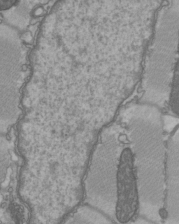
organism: C57BL Mouse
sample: Heart